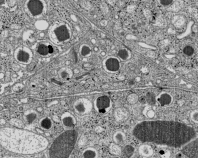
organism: C57BL Mouse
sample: Pancreatic islet